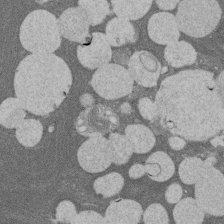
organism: Rat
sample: Salivary granule